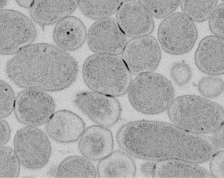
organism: E. coli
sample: Bacterial nucleoid